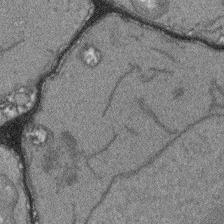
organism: Arabidopsis thaliana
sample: Root tip